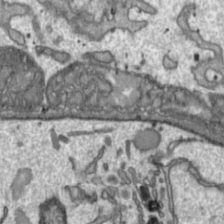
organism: Toxoplasma gondii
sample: Parasites in a vacuole inside a host cell